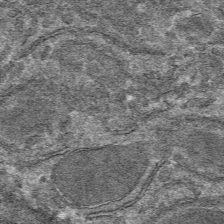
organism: Mouse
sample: Mouse hepatocytes